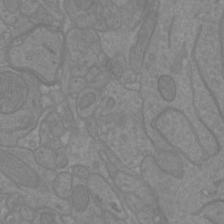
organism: Mouse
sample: Cortical neurons